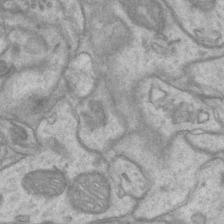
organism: Mouse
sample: CA1 Hippocampus